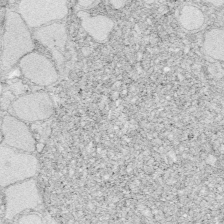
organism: Zebrafish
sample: Whole-Brain